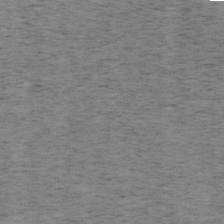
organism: Mouse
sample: OT-I killer T cells with ID8 ovarian cancer cells